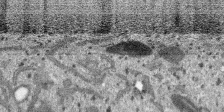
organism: Human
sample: Lung epithelial cells infected with SARS-CoV-2